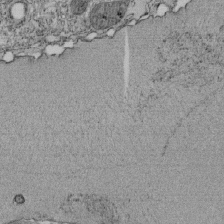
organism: Tetrahymena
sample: Cilia in tetrahymena